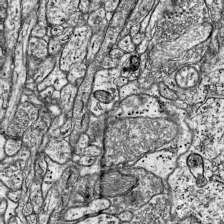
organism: Mouse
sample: Visual Cortex